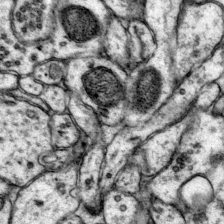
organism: Mouse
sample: Primary visual cortex